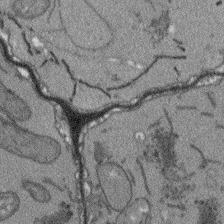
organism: Arabidopsis thaliana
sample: Root tip